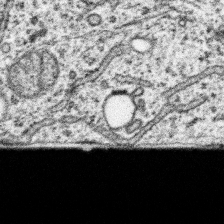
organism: Human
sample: HeLa cells